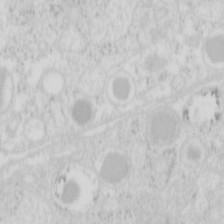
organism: Mouse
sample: Pancreas